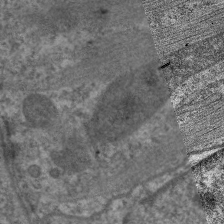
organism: C. elegans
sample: Pharynx